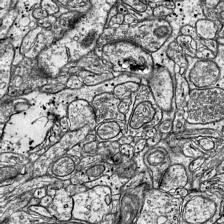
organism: Mouse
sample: Visual Cortex